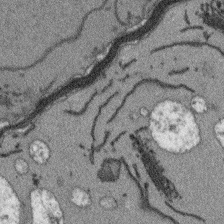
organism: Arabidopsis thaliana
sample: Root tip